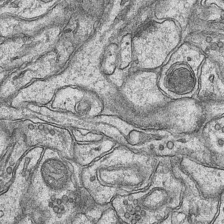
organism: Mouse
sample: CA1 Hippocampus